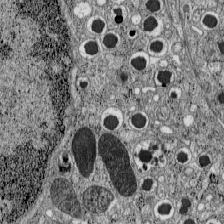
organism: C57BL Mouse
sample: Pancreatic islet